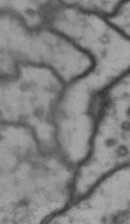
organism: Drosophila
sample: Brain